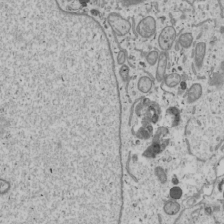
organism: Human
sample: Mitochondria in U2OS cells